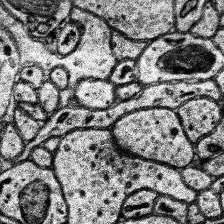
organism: Human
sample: Temporal Lobe